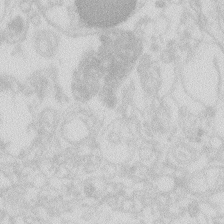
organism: Zebrafish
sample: Macrophage